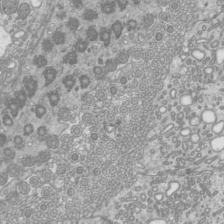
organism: Mouse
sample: Cilia; mouse epididymis